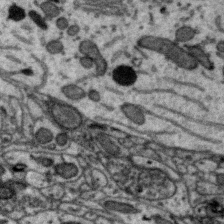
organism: Zebra finch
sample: Brain